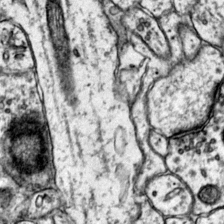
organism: Mouse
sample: Primary visual cortex